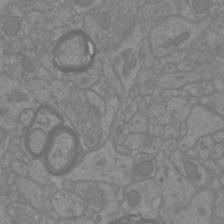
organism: Mouse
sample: Cortical neurons